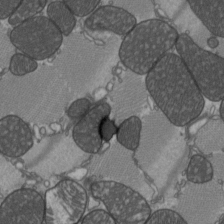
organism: C57BL Mouse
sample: Heart